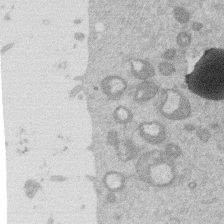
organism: Mouse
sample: Dividing mouse embryo 1 cell stage